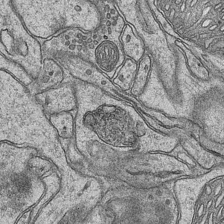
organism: Mouse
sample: CA1 Hippocampus